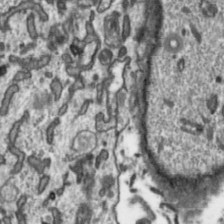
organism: Toxoplasma gondii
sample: Parasites in a vacuole inside a host cell